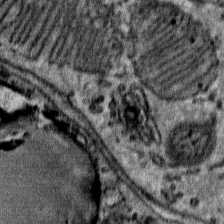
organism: Mouse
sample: Mouse Salivary gland